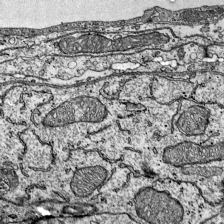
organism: Mouse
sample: Visual Cortex